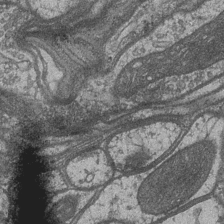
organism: Drosophila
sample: Optic medulla